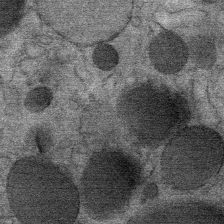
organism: Mouse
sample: Mouse Salivary gland